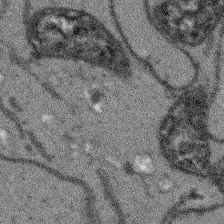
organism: Arabidopsis thaliana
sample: Root tip